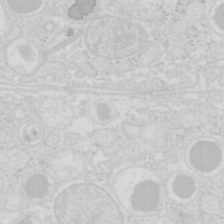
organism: Mouse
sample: Pancreas